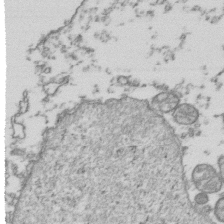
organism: Human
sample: Activated Jurkat CD4+ T cells